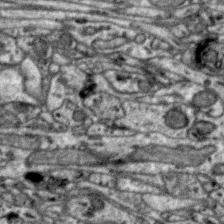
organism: Zebra finch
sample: Brain